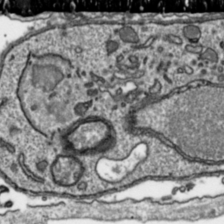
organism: Toxoplasma gondii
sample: Parasites in a vacuole inside a host cell